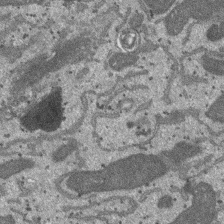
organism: Human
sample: Lung epithelial cells infected with SARS-CoV-2